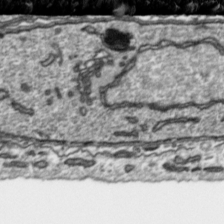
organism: Toxoplasma gondii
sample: Parasites in a vacuole inside a host cell